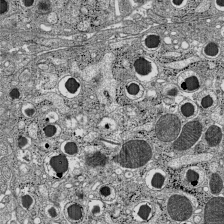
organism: C57BL Mouse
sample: Pancreatic islet